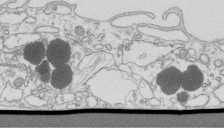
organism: Mouse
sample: Macrophages